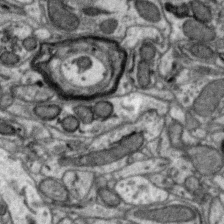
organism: Zebra finch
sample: Brain